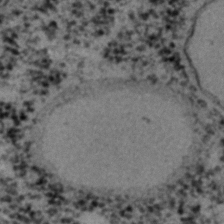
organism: C. elegans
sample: C. elegans embryo